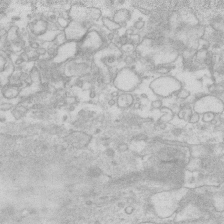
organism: Human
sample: Fibroblast cells